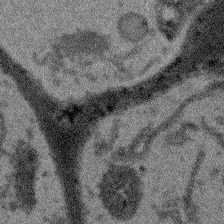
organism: Arabidopsis thaliana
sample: Root tip